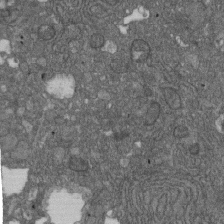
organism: Drosophila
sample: Nephrocyte